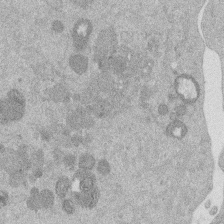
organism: Mouse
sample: Dividing mouse embryo 1 cell stage